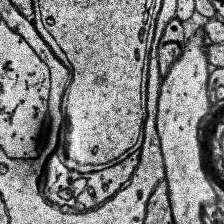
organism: Human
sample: Temporal Lobe